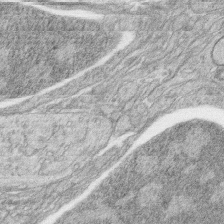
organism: Zebrafish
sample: synaptic ribbons in rod cells and cone cells